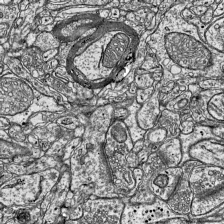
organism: Mouse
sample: Visual Cortex